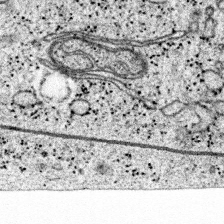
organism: Human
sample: HeLa cells